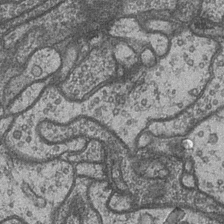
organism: Drosophila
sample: Optic medulla